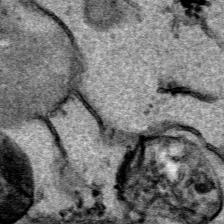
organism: Human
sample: Mitochondria in HCT116 cells